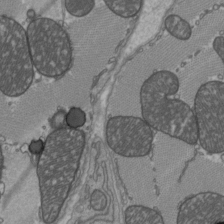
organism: C57BL Mouse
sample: Heart